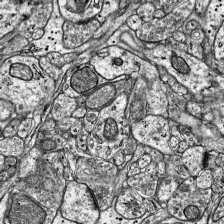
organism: Mouse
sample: Visual Cortex